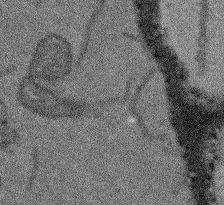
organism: Arabidopsis thaliana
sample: Root tip